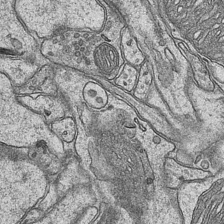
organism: Mouse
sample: CA1 Hippocampus